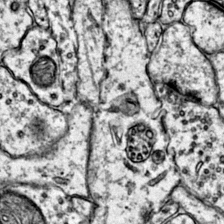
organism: Mouse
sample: Primary visual cortex